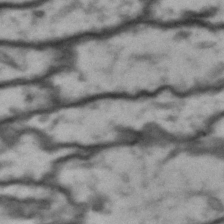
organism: Drosophila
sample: Brain